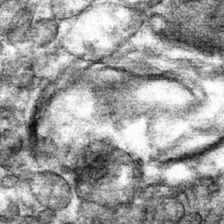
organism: Mouse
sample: Mouse hepatocytes